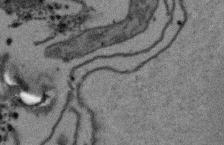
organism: Arabidopsis thaliana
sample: Root tip